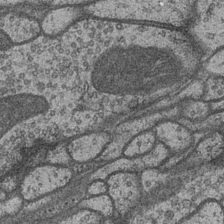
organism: Drosophila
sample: Optic medulla